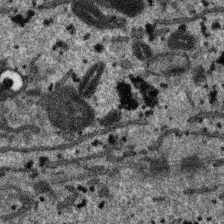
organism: Human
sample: Lung epithelial cells infected with SARS-CoV-2